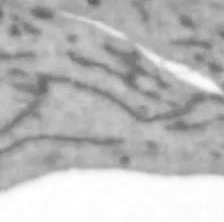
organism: Human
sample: SH-SY5Y cells